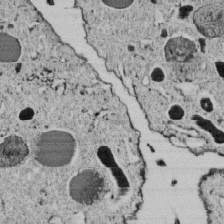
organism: C. elegans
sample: C. elegans embryo early stage